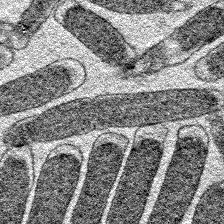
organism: E. coli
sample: E. Coli Bacteria